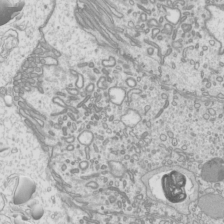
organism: Mouse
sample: Cilia; mouse epididymis